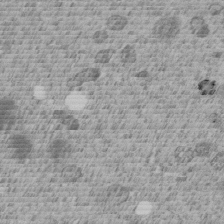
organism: C. elegans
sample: C. elegans embryo early stage